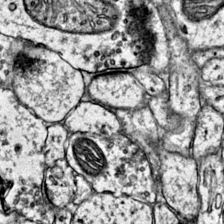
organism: Mouse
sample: Primary visual cortex